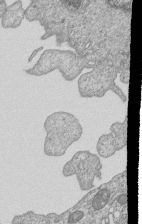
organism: Human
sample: MDA-MB-231 cells